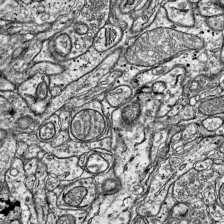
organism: Mouse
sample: Visual Cortex